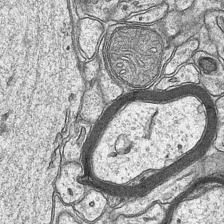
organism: Mouse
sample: CA1 Hippocampus